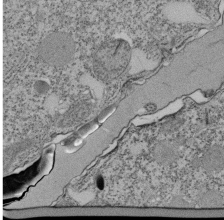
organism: Tetrahymena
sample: Cilia in tetrahymena